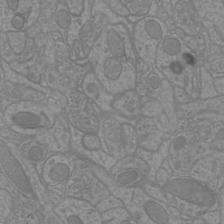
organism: Mouse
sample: Cortical neurons